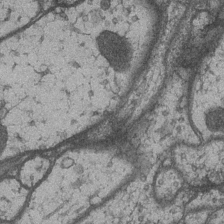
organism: Drosophila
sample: Optic medulla